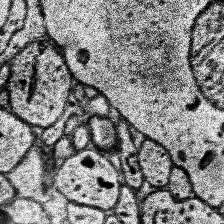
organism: Human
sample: Temporal Lobe